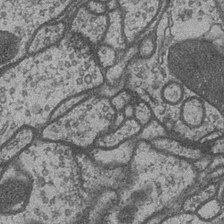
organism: Drosophila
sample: Optic medulla